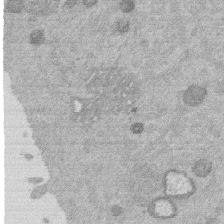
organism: Mouse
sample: Dividing mouse embryo 1 cell stage